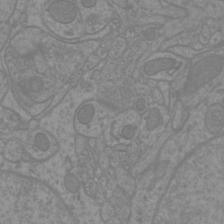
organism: Mouse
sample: Cortical neurons